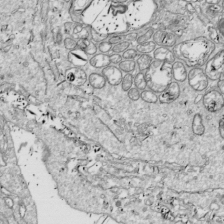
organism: Drosophila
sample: Cell division; meiosis; drosophila spermatocytes